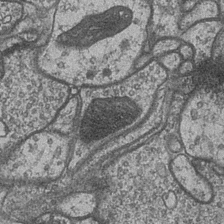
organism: Drosophila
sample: Optic medulla